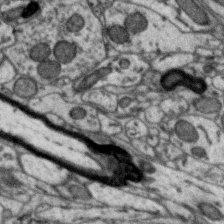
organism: Zebra finch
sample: Brain